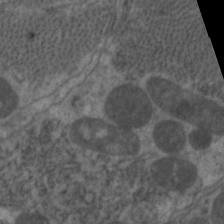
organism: C. elegans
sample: Pharynx